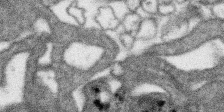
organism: Human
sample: Lung epithelial cells infected with SARS-CoV-2